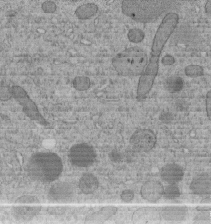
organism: C. elegans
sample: C. elegans embryo early stage